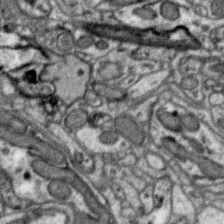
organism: Zebra finch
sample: Brain